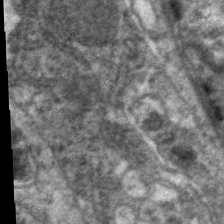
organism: C. elegans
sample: Pharynx